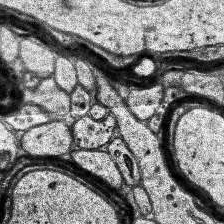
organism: Human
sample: Temporal Lobe